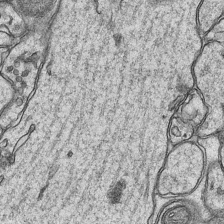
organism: Mouse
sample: CA1 Hippocampus